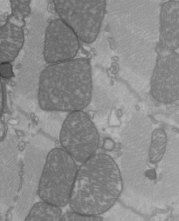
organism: C57BL Mouse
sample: Heart